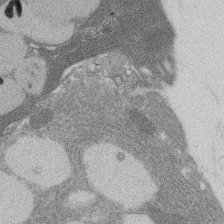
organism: Rat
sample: Salivary granule